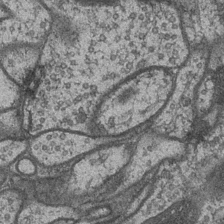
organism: Drosophila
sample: Optic medulla